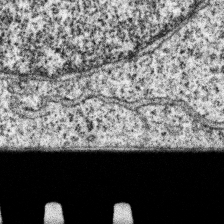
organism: Human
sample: HeLa cells